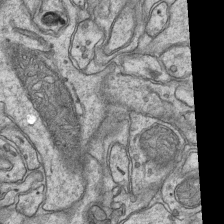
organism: Mouse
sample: CA1 Hippocampus